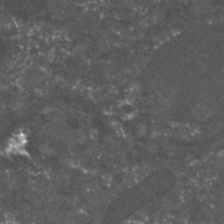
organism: C. elegans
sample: C. elegans embryo